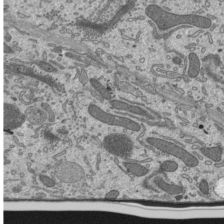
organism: Mouse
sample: Mouse epididymis efferent ductule cilia